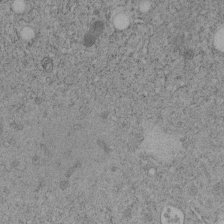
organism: C. elegans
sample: C. elegans embryo early stage